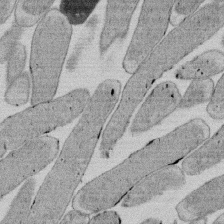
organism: E. coli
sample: Bacterial nucleoid